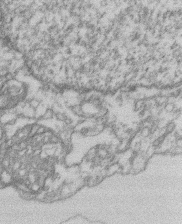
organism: Mouse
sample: T cell stromal cell synapse